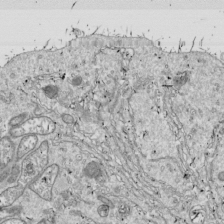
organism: Drosophila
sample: Cell division; meiosis; drosophila spermatocytes